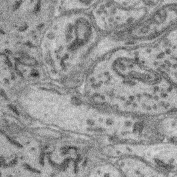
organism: Mouse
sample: Retina